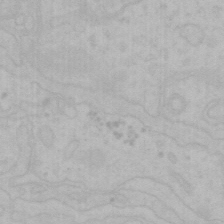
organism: Mouse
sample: Choroid plexus